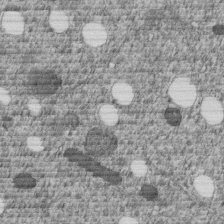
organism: C. elegans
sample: C. elegans embryo early stage